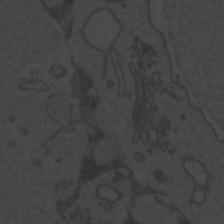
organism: Zebrafish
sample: Macrophage infected with Toxoplasma gondii